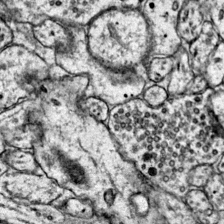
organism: Mouse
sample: Primary visual cortex